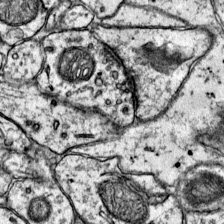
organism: Mouse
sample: Primary visual cortex